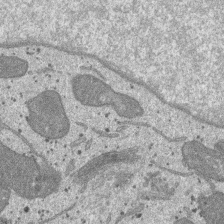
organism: Human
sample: Lung epithelial cells infected with SARS-CoV-2